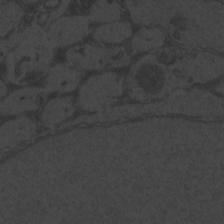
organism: Zebrafish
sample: Macrophage infected with Toxoplasma gondii